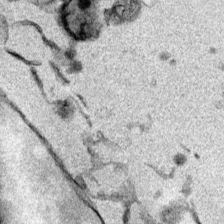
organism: Mouse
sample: Cancer cell death in ED-1 cells